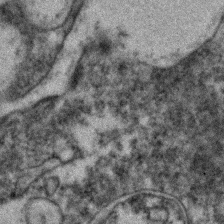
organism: Zebrafish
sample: Zebrafish embryo